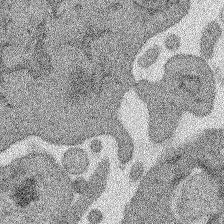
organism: Human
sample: HeLa cells